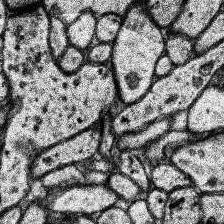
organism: Human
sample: Temporal Lobe